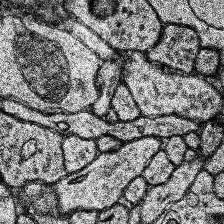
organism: Human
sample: Temporal Lobe